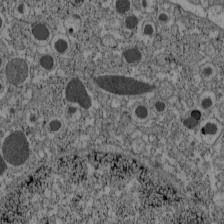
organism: C57BL Mouse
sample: Pancreatic islet